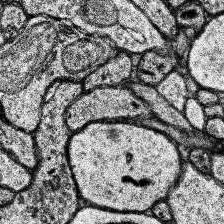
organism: Human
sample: Temporal Lobe